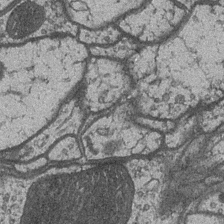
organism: Drosophila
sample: Optic medulla